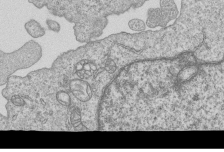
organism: Human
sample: MDA-MB-231 cells